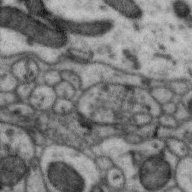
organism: Zebra finch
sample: Brain